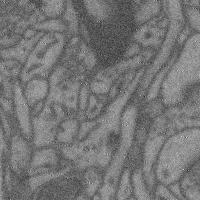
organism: Mouse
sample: Cerebral cortex